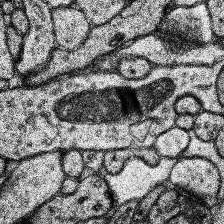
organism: Human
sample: Temporal Lobe